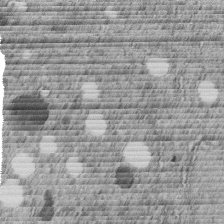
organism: C. elegans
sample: C. elegans embryo early stage